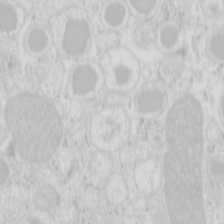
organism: Mouse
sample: Pancreas